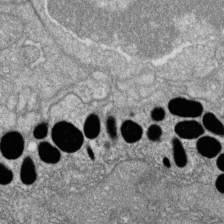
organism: Zebrafish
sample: Cilia; retinal pigment epithelium